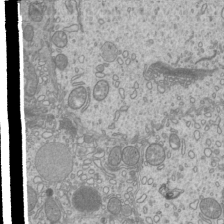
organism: Mouse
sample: Cilia; mouse epididymis